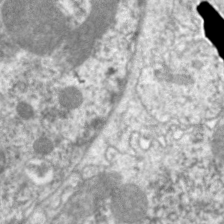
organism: C. elegans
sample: Pharynx